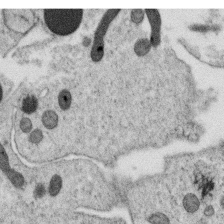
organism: C. elegans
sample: C. elegans oocyte; sperm cells